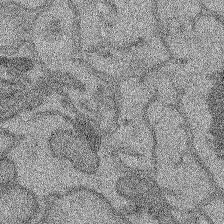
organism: Human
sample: HeLa cells